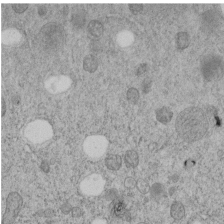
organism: C. elegans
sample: C. elegans embryo early stage